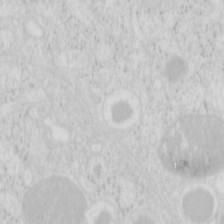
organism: Mouse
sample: Pancreas